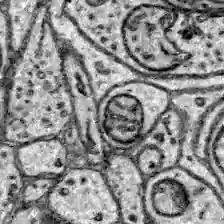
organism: Zebrafish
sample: Brain